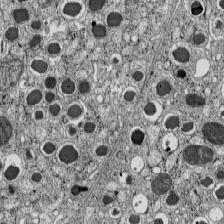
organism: C57BL Mouse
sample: Pancreatic islet